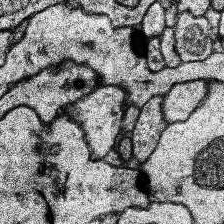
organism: Human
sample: Temporal Lobe